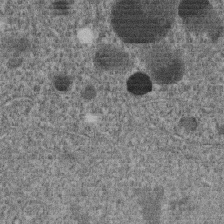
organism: C. elegans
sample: C. elegans embryo early stage